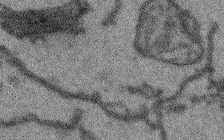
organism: Arabidopsis thaliana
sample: Root tip